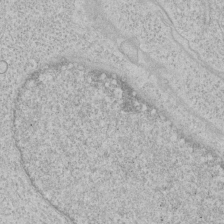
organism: Human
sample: Mitochondria in HCT116 cells